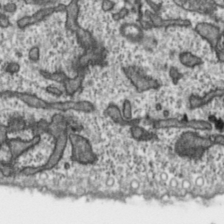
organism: Toxoplasma gondii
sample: Parasites in a vacuole inside a host cell